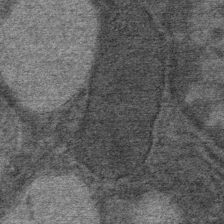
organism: Mouse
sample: Mouse Salivary gland